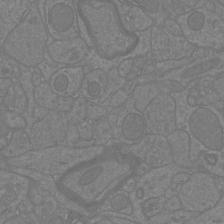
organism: Mouse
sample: Cortical neurons